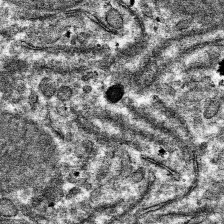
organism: Mouse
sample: Mouse hepatocytes